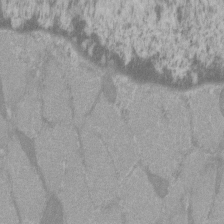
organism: C57BL Mouse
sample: Tibialis anterior muscle cell